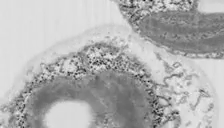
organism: Chlamydomonas reinhardtii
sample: Whole Cell